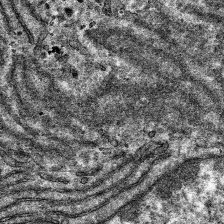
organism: Mouse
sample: Mouse hepatocytes